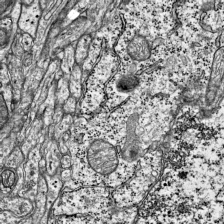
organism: Mouse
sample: Visual Cortex